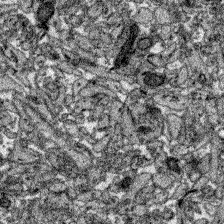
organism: Zebrafish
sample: Larval olfactory bulb